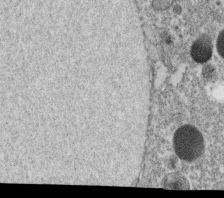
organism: C. elegans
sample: C. elegans oocyte; sperm cells